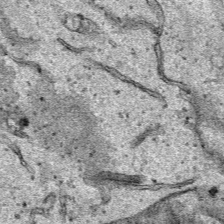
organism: Human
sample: Mitochondria in HCT116 cells